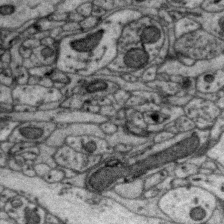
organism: Zebra finch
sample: Brain